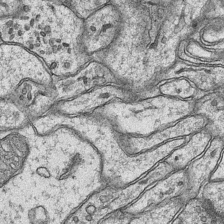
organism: Mouse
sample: CA1 Hippocampus